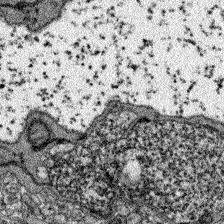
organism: Zebrafish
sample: Larval olfactory bulb